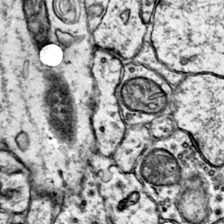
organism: Mouse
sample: Primary visual cortex